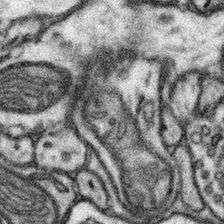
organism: Mouse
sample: Somatosensory cortex neuropil